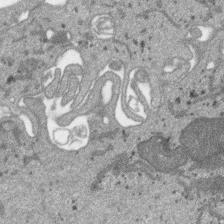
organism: Human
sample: Lung epithelial cells infected with SARS-CoV-2